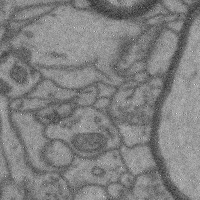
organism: Mouse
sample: Cerebral cortex